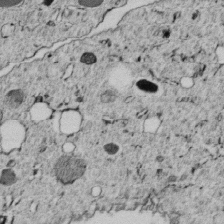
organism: C. elegans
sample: C. elegans embryo early stage